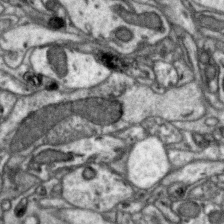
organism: Zebra finch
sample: Brain